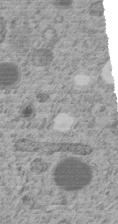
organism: C. elegans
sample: C. elegans embryo early stage